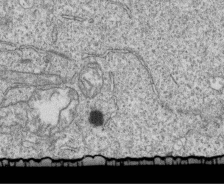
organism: Human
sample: HeLa cell HIV synapse